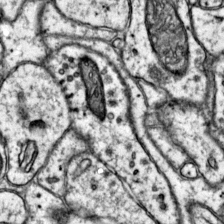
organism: Mouse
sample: Primary visual cortex